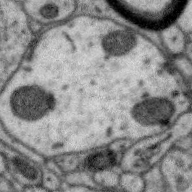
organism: Zebra finch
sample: Brain